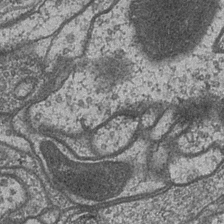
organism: Drosophila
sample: Optic medulla